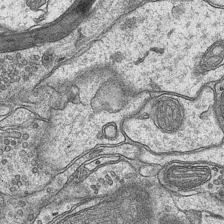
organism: Mouse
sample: CA1 Hippocampus